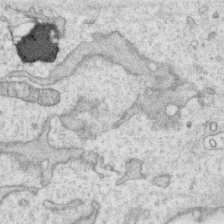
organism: Human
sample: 1205lu cells